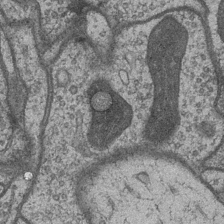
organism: Drosophila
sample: Optic medulla